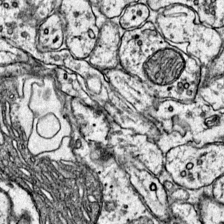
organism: Mouse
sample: Primary visual cortex